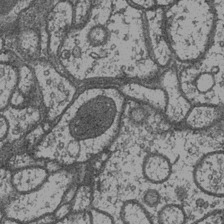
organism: Drosophila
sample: Optic medulla